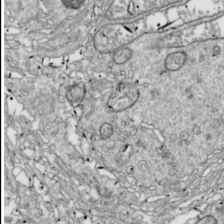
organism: Drosophila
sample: Cell division; meiosis; drosophila spermatocytes